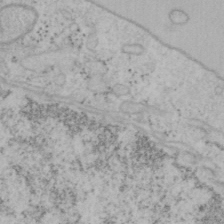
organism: Human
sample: HeLa cells